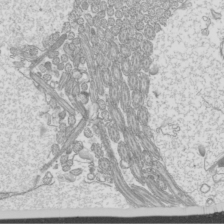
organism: Mouse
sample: Cilia; mouse epididymis